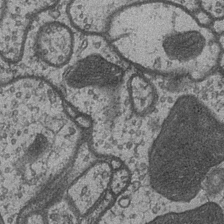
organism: Drosophila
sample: Optic medulla